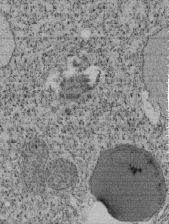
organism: Tetrahymena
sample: Cilia in tetrahymena